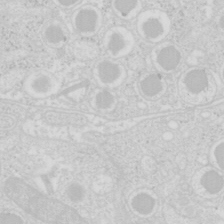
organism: Mouse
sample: Pancreas